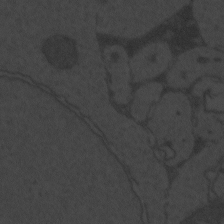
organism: Zebrafish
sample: Macrophage infected with Toxoplasma gondii